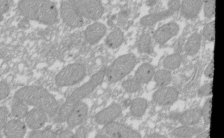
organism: Xenopus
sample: Cilia; centrioles in frog embryo cells